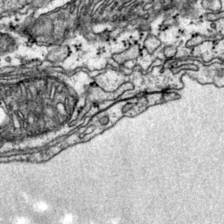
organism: Mouse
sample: Primary visual cortex